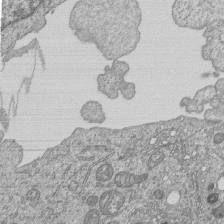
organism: Human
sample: MDA-MB-231 cells